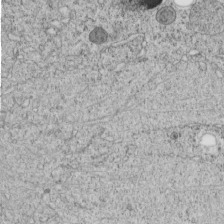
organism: C. elegans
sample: C. elegans embryo early stage